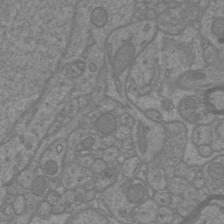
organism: Mouse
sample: Cortical neurons